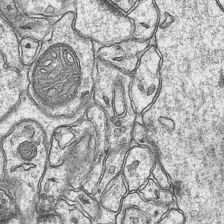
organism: Mouse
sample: CA1 Hippocampus